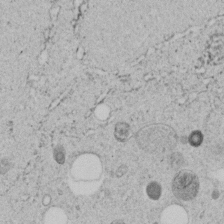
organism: C. elegans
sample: C. elegans embryo early stage